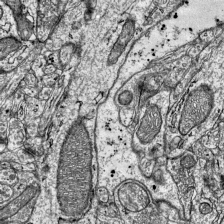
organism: Mouse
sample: Visual Cortex